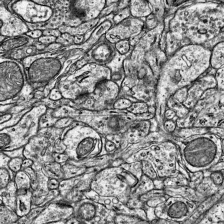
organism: Mouse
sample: Visual Cortex